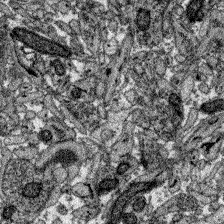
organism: Zebrafish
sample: Larval olfactory bulb